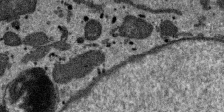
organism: Human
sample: Lung epithelial cells, uninfected (mock) control